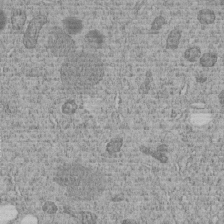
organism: C. elegans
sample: C. elegans embryo early stage